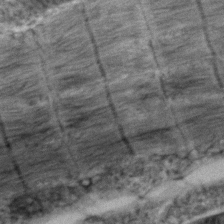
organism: Zebrafish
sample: Zebrafish embryo